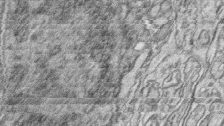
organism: Zebrafish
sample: synaptic ribbons in rod cells and cone cells